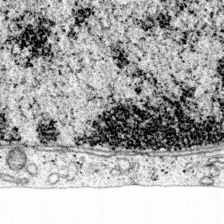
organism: Human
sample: HeLa cells